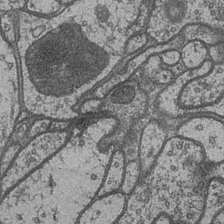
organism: Drosophila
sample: Optic medulla